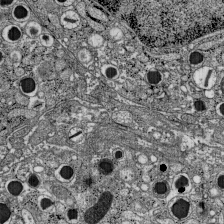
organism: C57BL Mouse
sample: Pancreatic islet